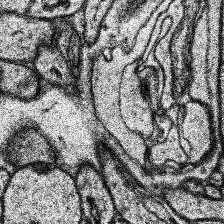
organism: Human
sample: Temporal Lobe